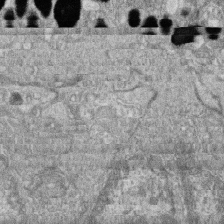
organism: Zebrafish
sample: Cilia; retinal pigment epithelium